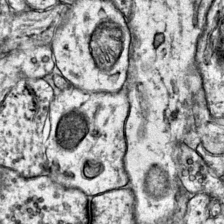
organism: Mouse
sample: Primary visual cortex